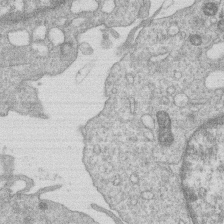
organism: Human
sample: Macrophage cells